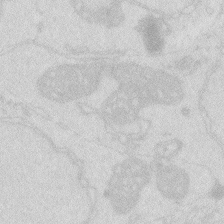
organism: Zebrafish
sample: Macrophage